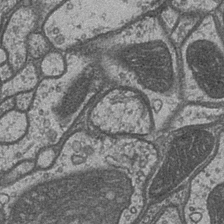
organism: Drosophila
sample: Optic medulla